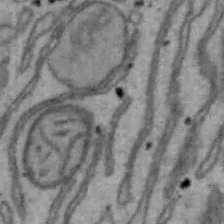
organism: Mouse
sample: Liver